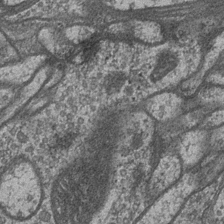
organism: Drosophila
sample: Optic medulla